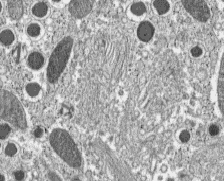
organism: C57BL Mouse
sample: Pancreatic islet